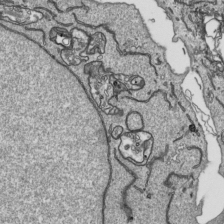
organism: Human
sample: Mitochondria in HCT116 cells